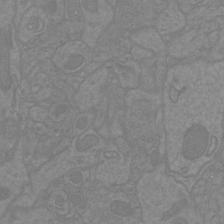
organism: Mouse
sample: Cortical neurons